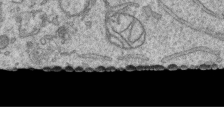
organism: Human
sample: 1205lu cells